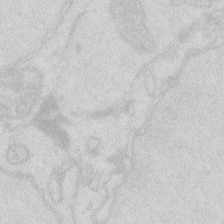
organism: Zebrafish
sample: Macrophage